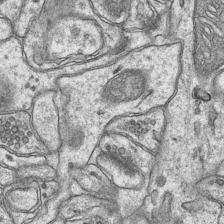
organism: Mouse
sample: CA1 Hippocampus